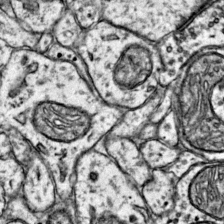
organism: Mouse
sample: Primary visual cortex